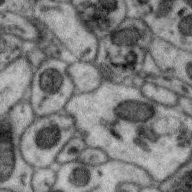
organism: Zebra finch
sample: Brain